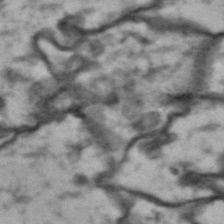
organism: Drosophila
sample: Brain